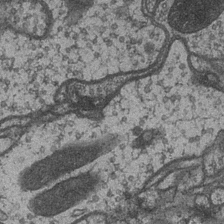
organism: Drosophila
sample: Optic medulla